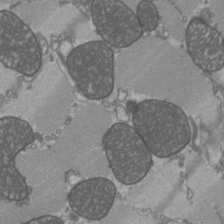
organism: C57BL Mouse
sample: Heart